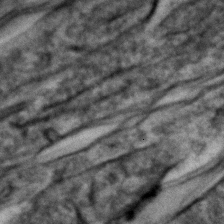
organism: Zebrafish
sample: Zebrafish embryo